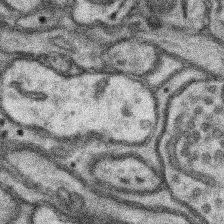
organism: Mouse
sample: Somatosensory cortex neuropil